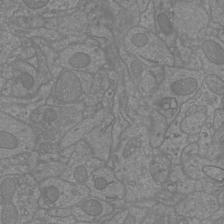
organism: Mouse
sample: Cortical neurons